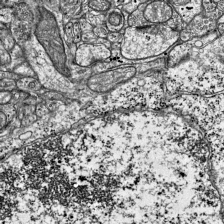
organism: Mouse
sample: Visual Cortex